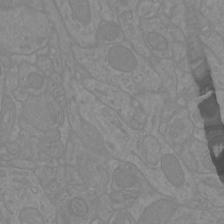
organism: Mouse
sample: Cortical neurons